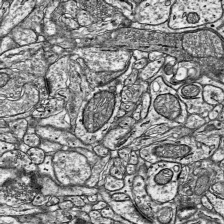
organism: Mouse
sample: Visual Cortex